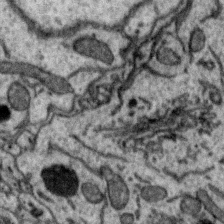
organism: Zebra finch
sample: Brain